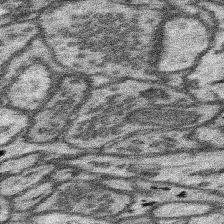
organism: Mouse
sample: Somatosensory cortex neuropil